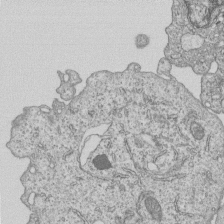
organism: Human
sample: MDA-MB-231 cells